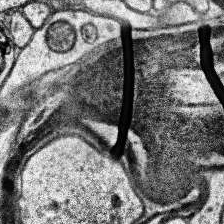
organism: Human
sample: Temporal Lobe